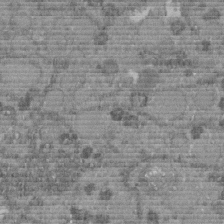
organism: C. elegans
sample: C. elegans embryo early stage